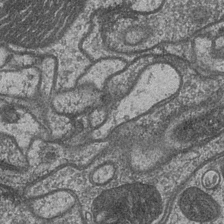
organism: Drosophila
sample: Optic medulla